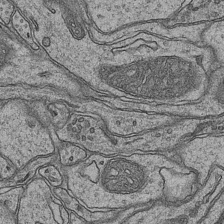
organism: Mouse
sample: CA1 Hippocampus